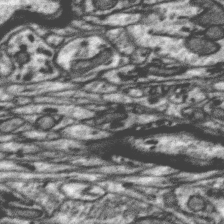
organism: Zebra finch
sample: Brain